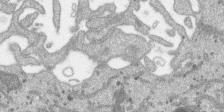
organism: Human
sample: Lung epithelial cells infected with SARS-CoV-2